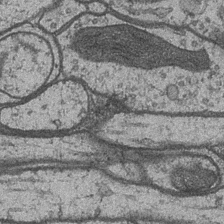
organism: Drosophila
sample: Optic medulla